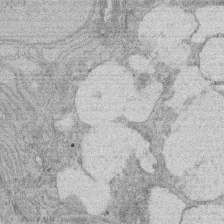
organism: Rat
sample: Salivary granule